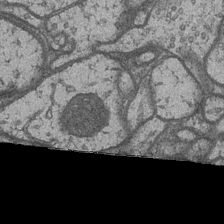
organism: Drosophila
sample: Optic medulla